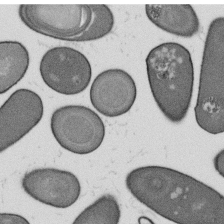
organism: B. subtilis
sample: Bacterial spore